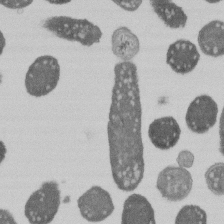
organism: E. coli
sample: Bacterial nucleoid